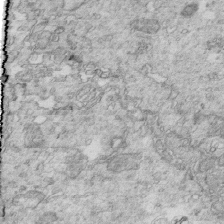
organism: Mouse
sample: Multiciliated cells